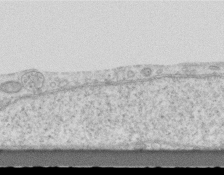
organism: Mouse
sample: Centriole in ependymal cells